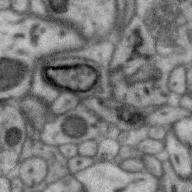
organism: Zebra finch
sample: Brain